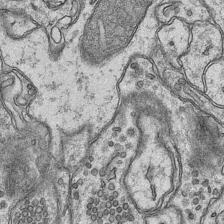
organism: Mouse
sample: CA1 Hippocampus